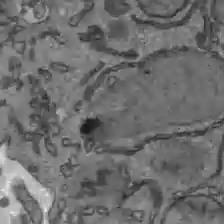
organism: C57BL Mouse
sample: Liver